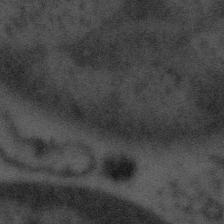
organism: Tuwongella immobilis